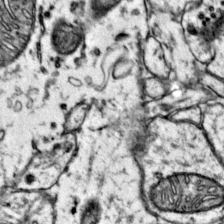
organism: Mouse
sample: Primary visual cortex